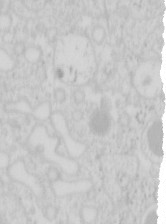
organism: Mouse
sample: Pancreas